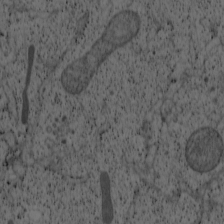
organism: African green monkey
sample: COS-7 cells